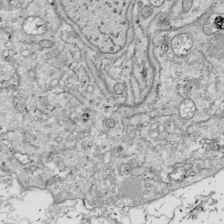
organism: Drosophila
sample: Cell division; meiosis; drosophila spermatocytes